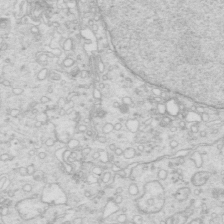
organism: Mouse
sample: Multiciliated cells